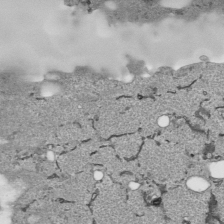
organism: Human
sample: Mitochondria in HCT116 cells